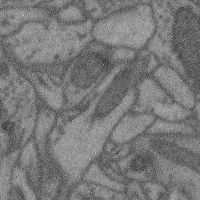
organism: Mouse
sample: Cerebral cortex